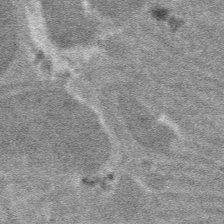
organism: Mouse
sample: Mouse hepatocytes